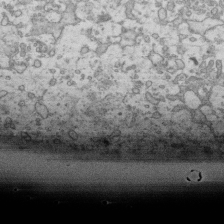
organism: Human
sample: Activated Jurkat CD4+ T cells